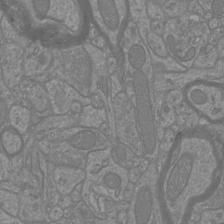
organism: Mouse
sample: Cortical neurons